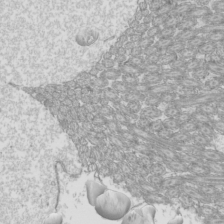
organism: Mouse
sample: Cilia; mouse epididymis